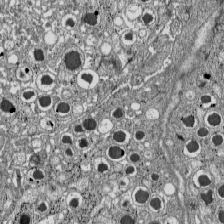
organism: C57BL Mouse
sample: Pancreatic islet